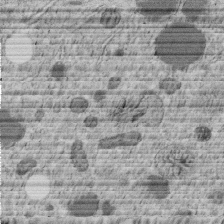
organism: C. elegans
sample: C. elegans embryo early stage